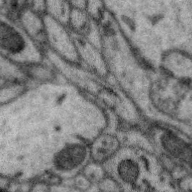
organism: Zebra finch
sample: Brain